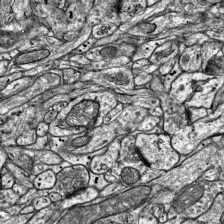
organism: Mouse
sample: Visual Cortex